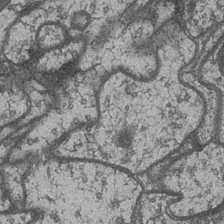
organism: Drosophila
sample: Optic medulla